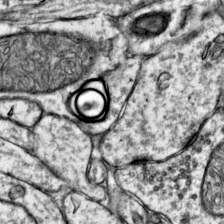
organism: Mouse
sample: Primary visual cortex